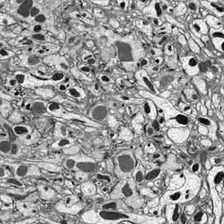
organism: Drosophila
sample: Optic lobe